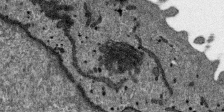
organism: Human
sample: Lung epithelial cells, uninfected (mock) control